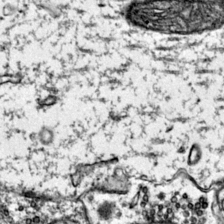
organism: Mouse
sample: Primary visual cortex